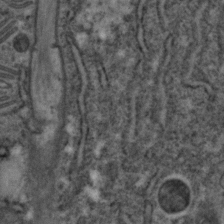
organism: C. elegans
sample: C. elegans embryo